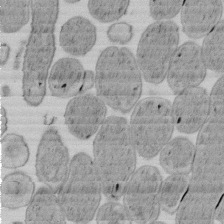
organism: E. coli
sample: Bacterial nucleoid